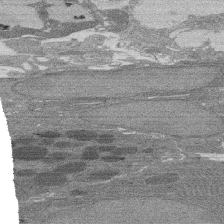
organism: Rat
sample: Salivary granule